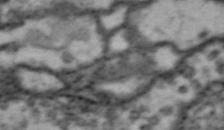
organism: Drosophila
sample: Brain